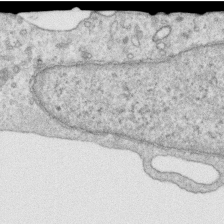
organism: Human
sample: Centriole in RPE cells